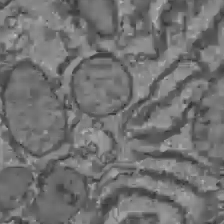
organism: C57BL Mouse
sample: Liver